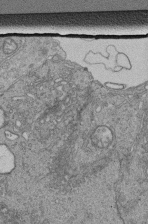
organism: Human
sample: Retinal organoid Rod and Cone cells